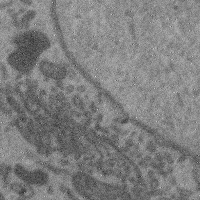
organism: Mouse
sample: Cerebral cortex